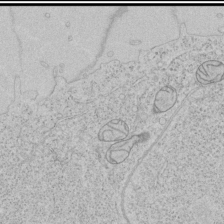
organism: Human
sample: Mitochondria in HCT116 cells